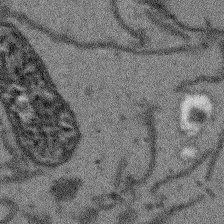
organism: Arabidopsis thaliana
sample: Root tip